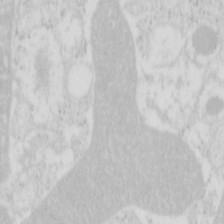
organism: Mouse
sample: Pancreas